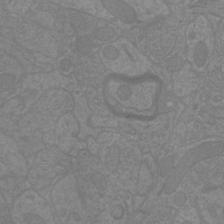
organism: Mouse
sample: Cortical neurons